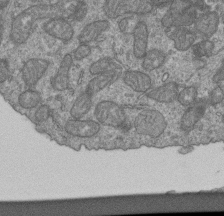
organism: Human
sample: Retinal organoid Rod and Cone cells